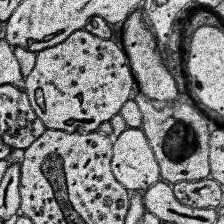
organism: Human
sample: Temporal Lobe